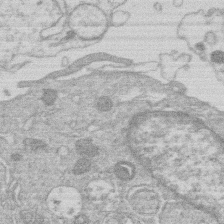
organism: Human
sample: Macrophage cells